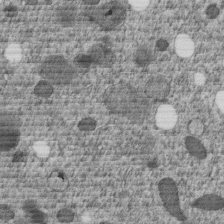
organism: C. elegans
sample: C. elegans embryo early stage